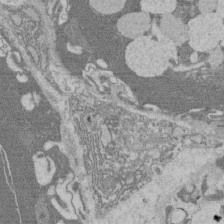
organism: Rat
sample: Salivary granule